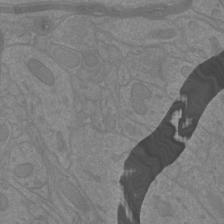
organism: Mouse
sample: Cortical neurons